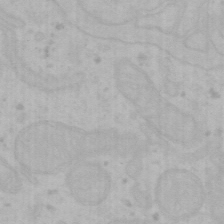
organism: Mouse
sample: Choroid plexus